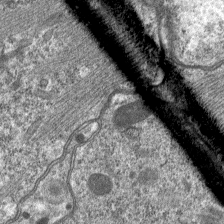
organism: C. elegans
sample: Pharynx